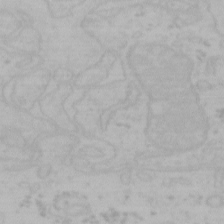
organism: Mouse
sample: Choroid plexus